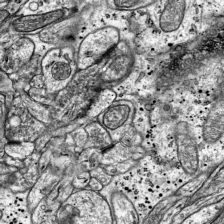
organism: Mouse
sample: Visual Cortex